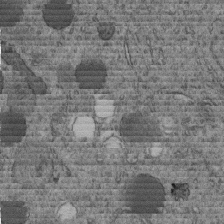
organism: C. elegans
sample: C. elegans embryo early stage